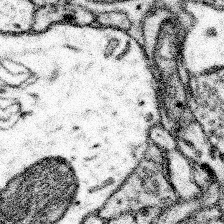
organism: Mouse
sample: Somatosensory cortex neuropil